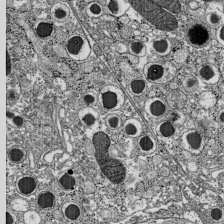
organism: C57BL Mouse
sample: Pancreatic islet